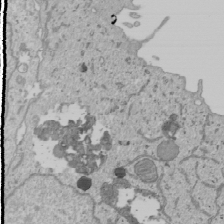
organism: Human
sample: Mitochondria in U2OS cells